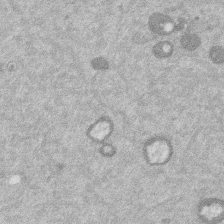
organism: Mouse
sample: Dividing mouse embryo 1 cell stage